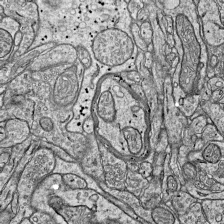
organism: Mouse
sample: Visual Cortex